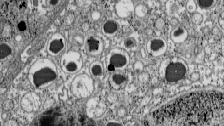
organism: C57BL Mouse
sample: Pancreatic islet